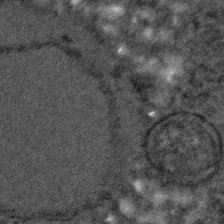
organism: C. elegans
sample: C. elegans embryo